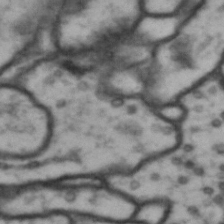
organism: Drosophila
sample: Brain